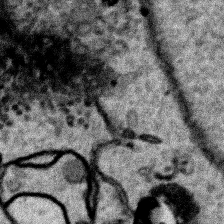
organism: Human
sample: Mitochondria in HCT116 cells